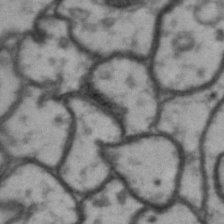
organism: Drosophila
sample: Brain